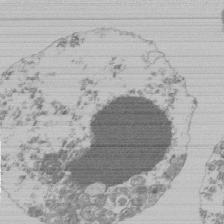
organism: Mouse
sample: Activated Pmel transgenic CD8+ T Cells